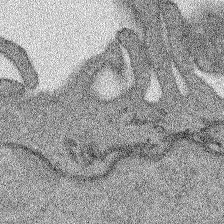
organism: Human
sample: HeLa cells